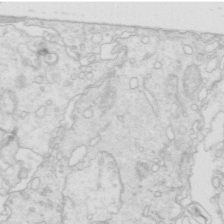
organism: Mouse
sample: Multiciliated cells